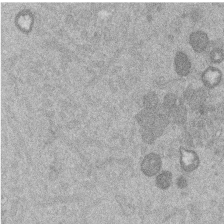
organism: Mouse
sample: Dividing mouse embryo 1 cell stage